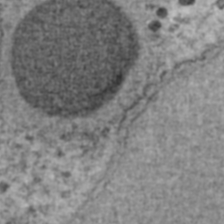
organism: Human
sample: Blood